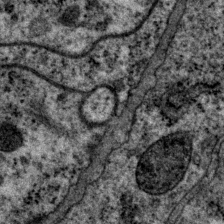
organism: P. pacificus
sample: Pharynx